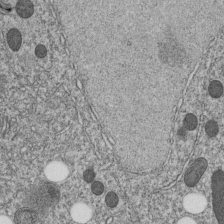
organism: C. elegans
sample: C. elegans embryo early stage